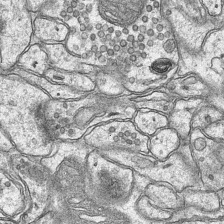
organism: Mouse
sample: CA1 Hippocampus